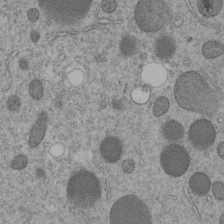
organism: C. elegans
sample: C. elegans embryo early stage